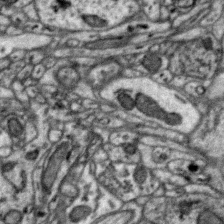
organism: Zebra finch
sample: Brain